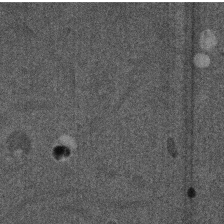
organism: Mouse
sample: Dividing mouse embryo 1 cell stage